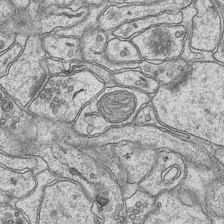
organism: Mouse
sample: CA1 Hippocampus